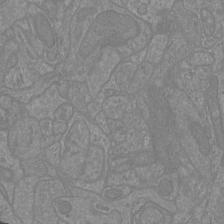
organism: Mouse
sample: Cortical neurons